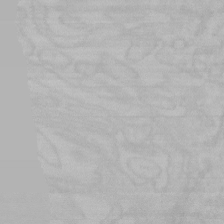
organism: Mouse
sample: Choroid plexus